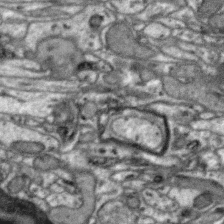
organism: Zebra finch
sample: Brain